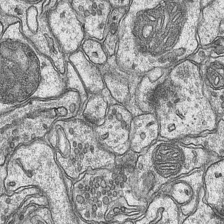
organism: Mouse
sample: CA1 Hippocampus